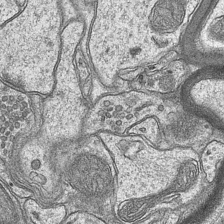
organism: Mouse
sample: CA1 Hippocampus